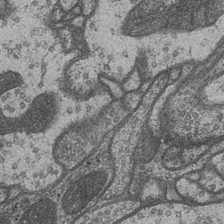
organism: Drosophila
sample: Optic medulla